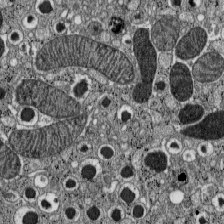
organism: C57BL Mouse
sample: Pancreatic islet